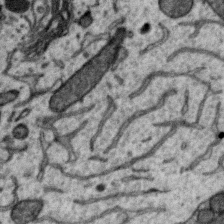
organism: Zebra finch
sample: Brain